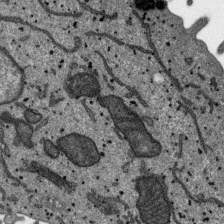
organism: Human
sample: Lung epithelial cells, uninfected (mock) control